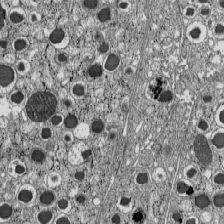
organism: C57BL Mouse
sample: Pancreatic islet